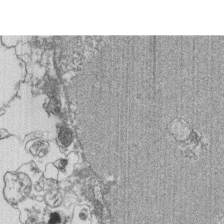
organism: Human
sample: HeLa cell HIV synapse